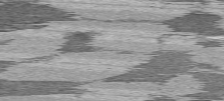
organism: C57BL Mouse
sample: Heart